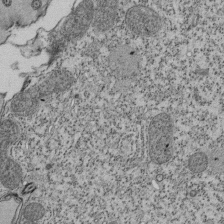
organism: Tetrahymena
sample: Cilia in tetrahymena